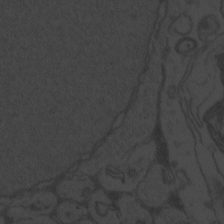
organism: Zebrafish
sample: Macrophage infected with Toxoplasma gondii